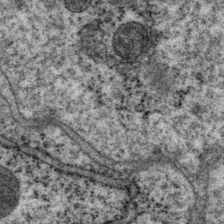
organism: P. pacificus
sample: Pharynx